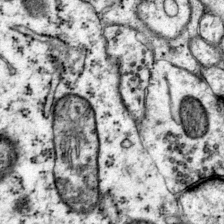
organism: Mouse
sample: Primary visual cortex